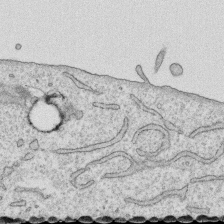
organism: Human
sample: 1205lu cells